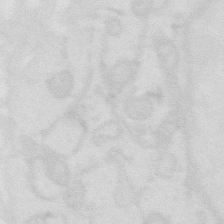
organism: Human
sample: HeLa cells